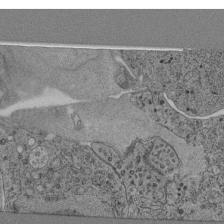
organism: C. elegans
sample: C. elegans pharynx